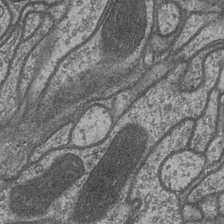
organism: Drosophila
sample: Optic medulla